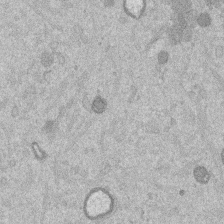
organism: Mouse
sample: Dividing mouse embryo 1 cell stage